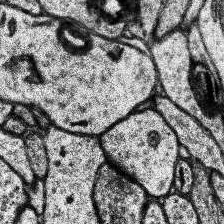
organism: Human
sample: Temporal Lobe